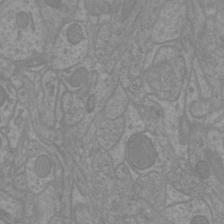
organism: Mouse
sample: Cortical neurons